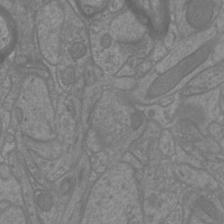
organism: Mouse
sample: Cortical neurons